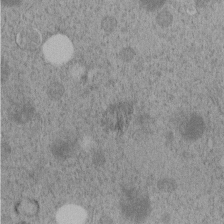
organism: C. elegans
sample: C. elegans embryo early stage